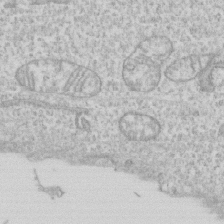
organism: Human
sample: CRL-1474